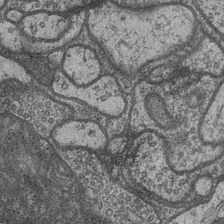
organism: Drosophila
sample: Optic medulla